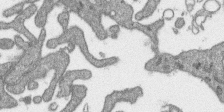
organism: Human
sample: Lung epithelial cells infected with SARS-CoV-2